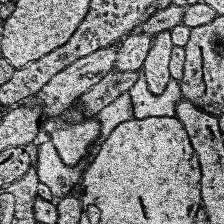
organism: Human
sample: Temporal Lobe